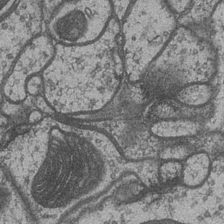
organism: Drosophila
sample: Optic medulla